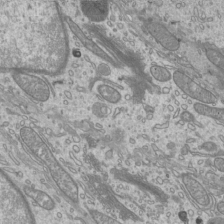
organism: Mouse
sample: Cilia; mouse epididymis